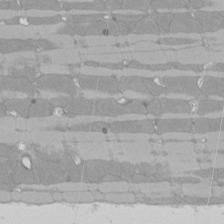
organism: Rat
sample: Left ventricle